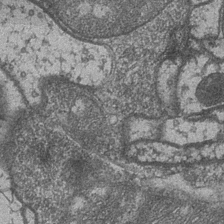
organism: Drosophila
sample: Optic medulla